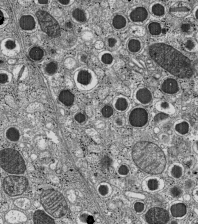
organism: C57BL Mouse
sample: Pancreatic islet